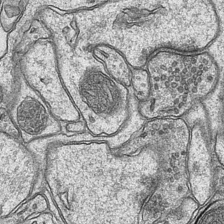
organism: Mouse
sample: CA1 Hippocampus